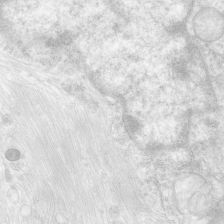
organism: Human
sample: Neocortex